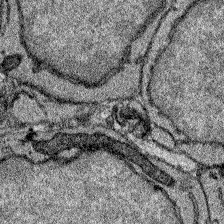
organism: Zebrafish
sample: Larval olfactory bulb